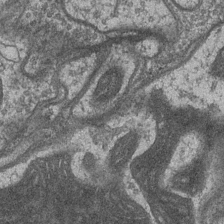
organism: Drosophila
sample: Optic medulla